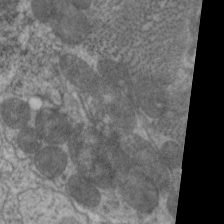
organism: C. elegans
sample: Pharynx